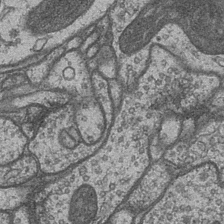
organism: Drosophila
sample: Optic medulla